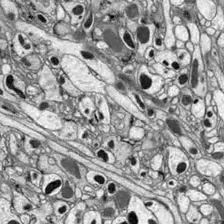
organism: Drosophila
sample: Optic lobe